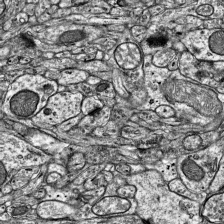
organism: Mouse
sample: Visual Cortex